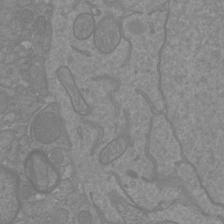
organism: Mouse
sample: Cortical neurons